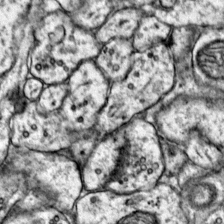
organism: Mouse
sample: Primary visual cortex